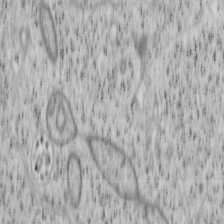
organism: Human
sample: HeLa cells